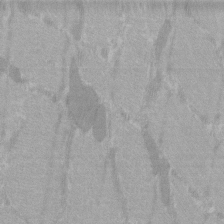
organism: C57BL Mouse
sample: Tibialis anterior muscle cell